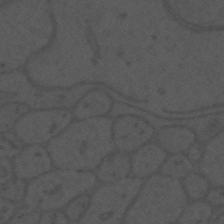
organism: Mouse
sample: Suprachiasmatic nucleus